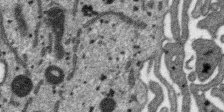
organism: Human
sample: Lung epithelial cells infected with SARS-CoV-2